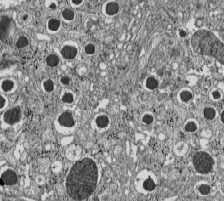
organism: C57BL Mouse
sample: Pancreatic islet